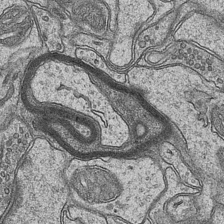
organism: Mouse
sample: CA1 Hippocampus